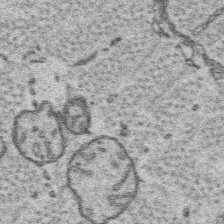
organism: Platynereis dumerilii